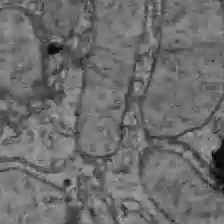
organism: C57BL Mouse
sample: Liver